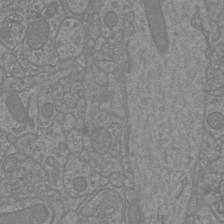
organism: Mouse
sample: Cortical neurons